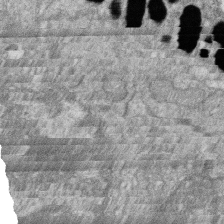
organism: Zebrafish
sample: Cilia; retinal pigment epithelium